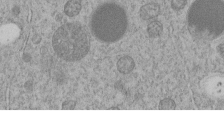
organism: C. elegans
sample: C. elegans embryo early stage